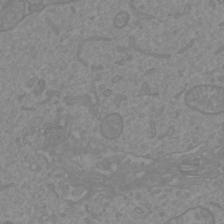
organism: Mouse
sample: Cortical neurons